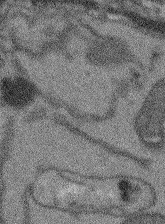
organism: Arabidopsis thaliana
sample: Root tip